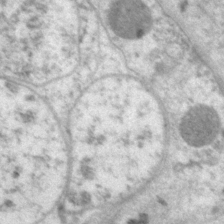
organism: P. pacificus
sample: Pharynx